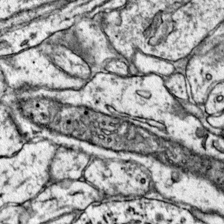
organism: Mouse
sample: Primary visual cortex